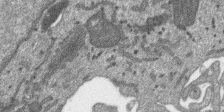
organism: Human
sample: Lung epithelial cells infected with SARS-CoV-2